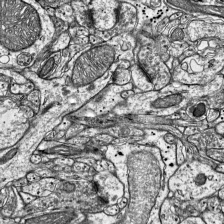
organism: Mouse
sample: Visual Cortex